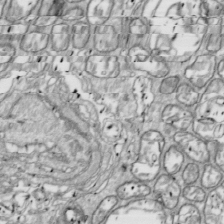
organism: Drosophila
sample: Cell division; meiosis; drosophila spermatocytes